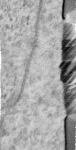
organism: Human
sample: Centriole in RPE cells